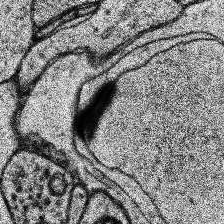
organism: Human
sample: Temporal Lobe